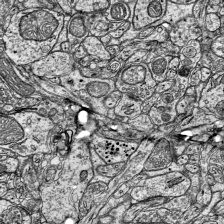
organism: Mouse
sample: Visual Cortex